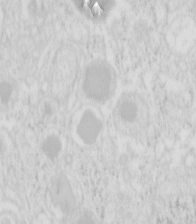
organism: Mouse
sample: Pancreas